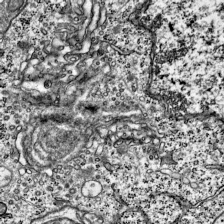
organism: Mouse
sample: Visual Cortex